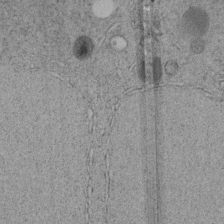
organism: C. elegans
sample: C. elegans embryo early stage